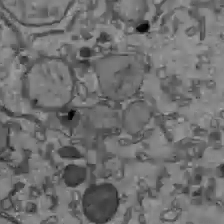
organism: C57BL Mouse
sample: Liver